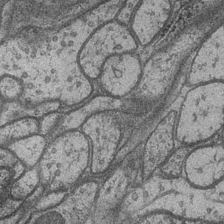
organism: Drosophila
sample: Optic medulla